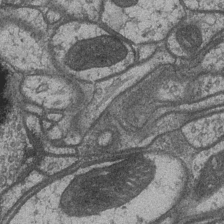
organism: Drosophila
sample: Optic medulla